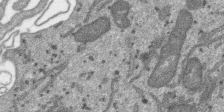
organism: Human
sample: Lung epithelial cells infected with SARS-CoV-2